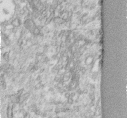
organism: Human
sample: Centriole in fibroblast cells